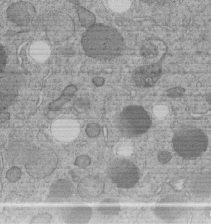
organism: C. elegans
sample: C. elegans embryo early stage